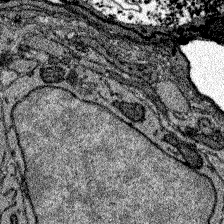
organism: Zebrafish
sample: Larval olfactory bulb